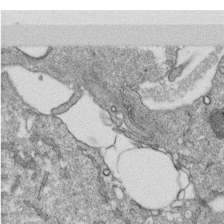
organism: African green monkey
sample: Vero E6 cells infected with SARS-CoV-2